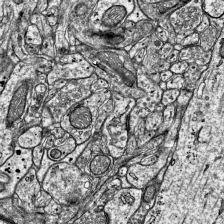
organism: Mouse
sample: Visual Cortex